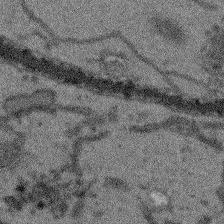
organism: Arabidopsis thaliana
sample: Root tip